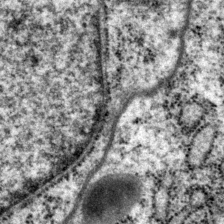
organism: P. pacificus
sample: Pharynx